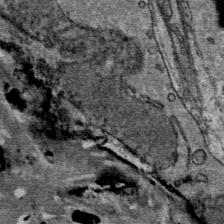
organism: Mouse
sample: Mouse Salivary gland